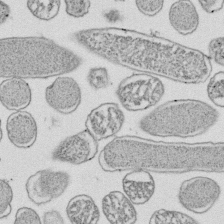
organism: E. coli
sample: Bacterial nucleoid